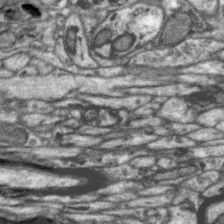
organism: Zebra finch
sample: Brain